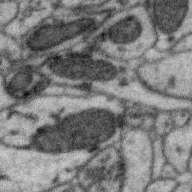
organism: Zebra finch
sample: Brain